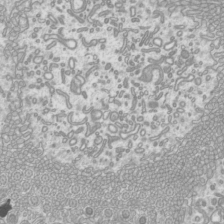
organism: Mouse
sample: Cilia; mouse epididymis